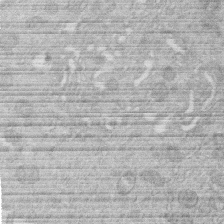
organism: Human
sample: Macrophage cells